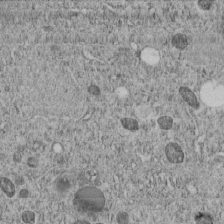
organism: C. elegans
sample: C. elegans embryo early stage